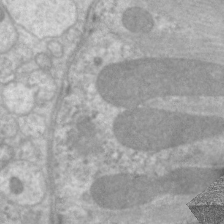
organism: C. elegans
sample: Pharynx